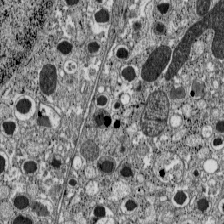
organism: C57BL Mouse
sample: Pancreatic islet